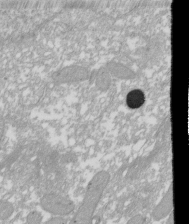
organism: Xenopus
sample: Cilia; centrioles in frog embryo cells